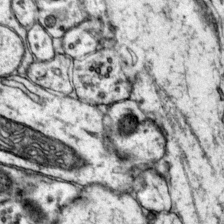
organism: Mouse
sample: Primary visual cortex